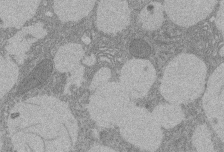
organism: Rat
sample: Salivary granule